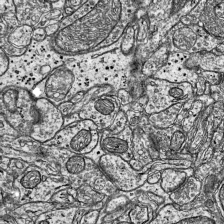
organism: Mouse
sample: Visual Cortex